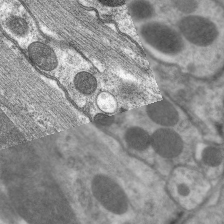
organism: C. elegans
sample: Pharynx